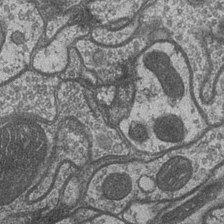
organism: Drosophila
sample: Optic medulla